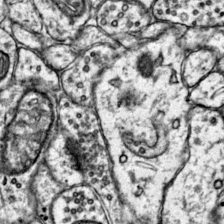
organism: Mouse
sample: Primary visual cortex